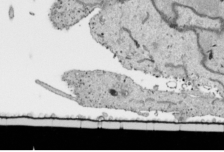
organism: Human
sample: Mitochondria in HCT116 cells